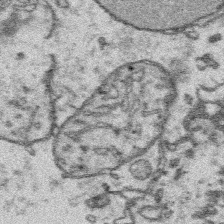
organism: Platynereis dumerilii